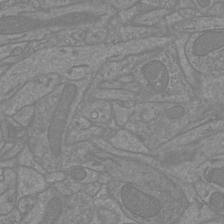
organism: Mouse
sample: Cortical neurons